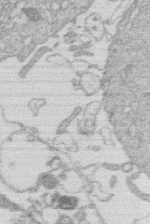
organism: Human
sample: Macrophage cells